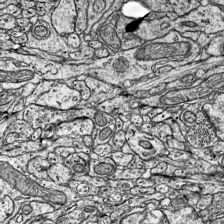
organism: Mouse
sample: Visual Cortex